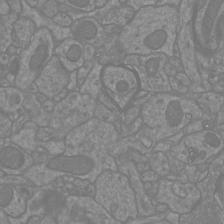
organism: Mouse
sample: Cortical neurons